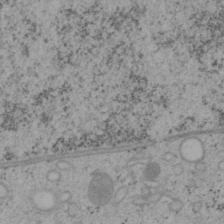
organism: Human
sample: HeLa cells